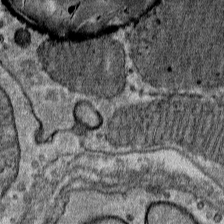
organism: Mouse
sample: Mouse Salivary gland